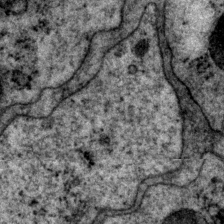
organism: P. pacificus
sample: Pharynx